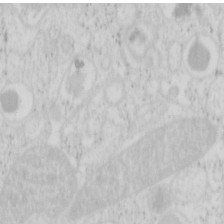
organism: Mouse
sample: Pancreas